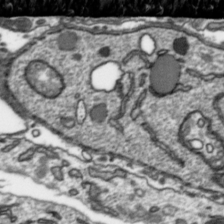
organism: Toxoplasma gondii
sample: Parasites in a vacuole inside a host cell